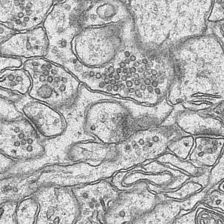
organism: Mouse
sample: CA1 Hippocampus